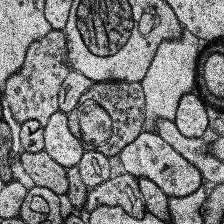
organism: Human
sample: Temporal Lobe